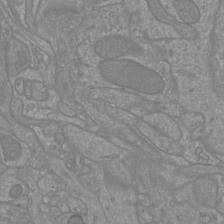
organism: Mouse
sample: Cortical neurons